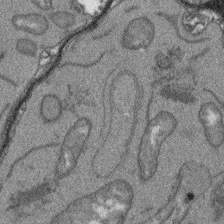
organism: Arabidopsis thaliana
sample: Root tip